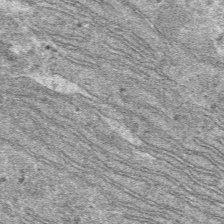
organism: Mouse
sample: Mouse hepatocytes